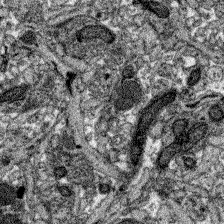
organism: Zebrafish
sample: Larval olfactory bulb